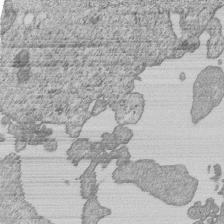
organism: Human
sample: MDA-MB-231 cells